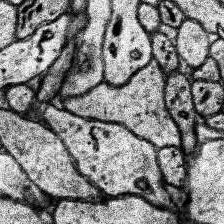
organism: Human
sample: Temporal Lobe